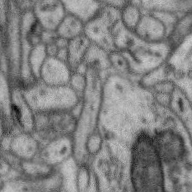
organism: Zebra finch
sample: Brain